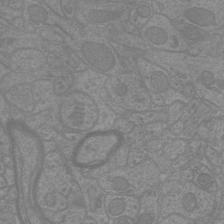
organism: Mouse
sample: Cortical neurons